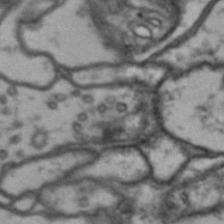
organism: Drosophila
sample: Brain